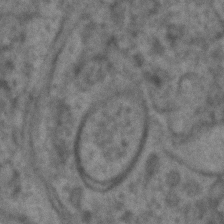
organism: C. elegans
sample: C. elegans embryo